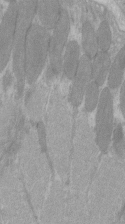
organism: C57BL Mouse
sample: Tibialis anterior muscle cell